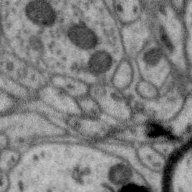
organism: Zebra finch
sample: Brain